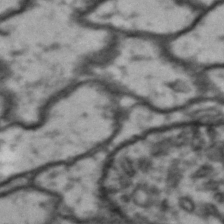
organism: Drosophila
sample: Brain